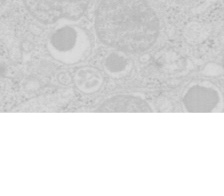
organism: Mouse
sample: Pancreas